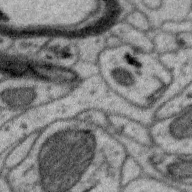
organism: Zebra finch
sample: Brain